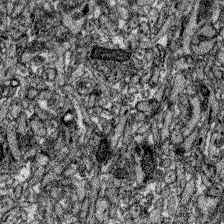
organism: Zebrafish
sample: Larval olfactory bulb